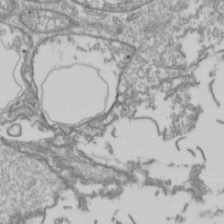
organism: Drosophila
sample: Cell division; meiosis; drosophila spermatocytes